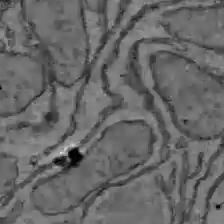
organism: C57BL Mouse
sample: Liver